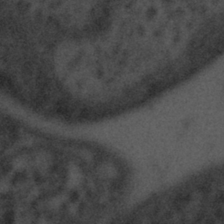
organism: Tuwongella immobilis